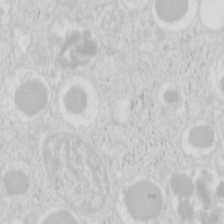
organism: Mouse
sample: Pancreas